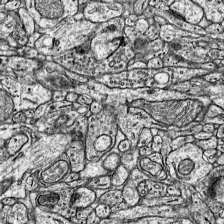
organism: Mouse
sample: Visual Cortex